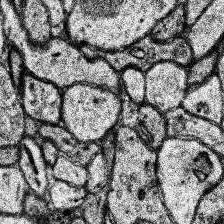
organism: Human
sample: Temporal Lobe